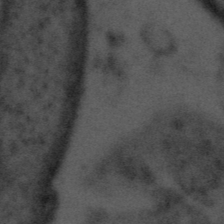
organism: Tuwongella immobilis